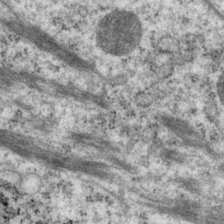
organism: P. pacificus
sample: Pharynx